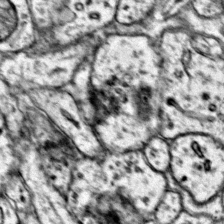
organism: Mouse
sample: Primary visual cortex